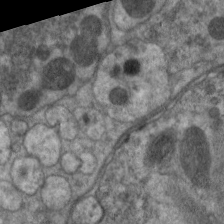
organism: C. elegans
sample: Pharynx